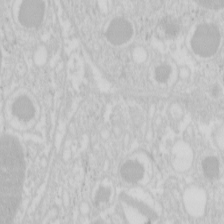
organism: Mouse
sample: Pancreas